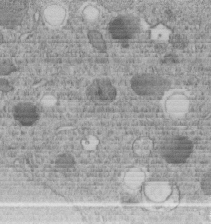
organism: C. elegans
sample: C. elegans embryo early stage